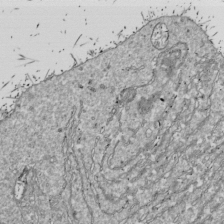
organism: Drosophila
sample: Cell division; meiosis; drosophila spermatocytes